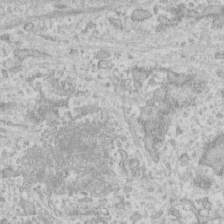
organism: Human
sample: Fibroblast cells